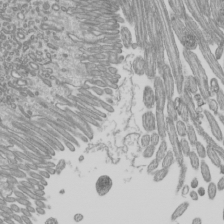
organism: Mouse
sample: Cilia; mouse epididymis